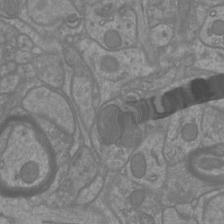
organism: Mouse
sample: Cortical neurons